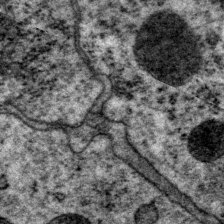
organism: P. pacificus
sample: Pharynx